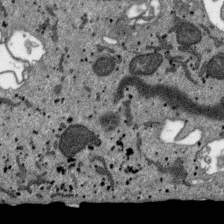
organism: Human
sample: Lung epithelial cells, uninfected (mock) control